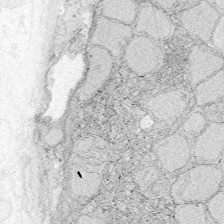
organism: Zebrafish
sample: Whole-Brain